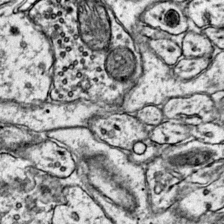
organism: Mouse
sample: Primary visual cortex